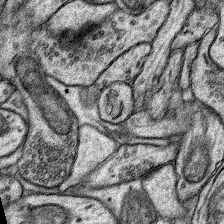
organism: Rat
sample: Hippocampus